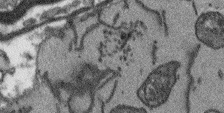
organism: Arabidopsis thaliana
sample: Root tip